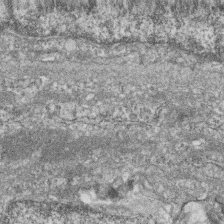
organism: Zebrafish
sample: Cilia; retinal pigment epithelium